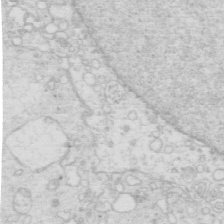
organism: Mouse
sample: Multiciliated cells